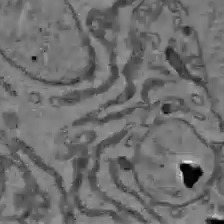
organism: C57BL Mouse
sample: Liver